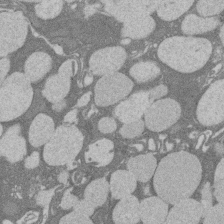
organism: Rat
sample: Salivary granule